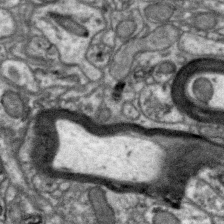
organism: Zebra finch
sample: Brain